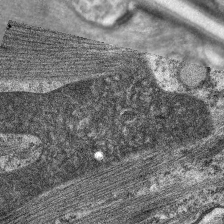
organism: C. elegans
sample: Pharynx